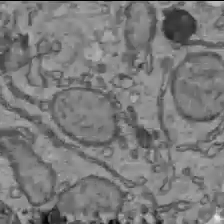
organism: C57BL Mouse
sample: Liver